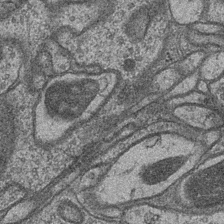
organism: Drosophila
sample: Optic medulla